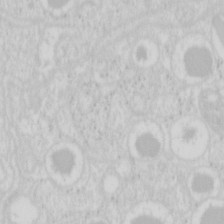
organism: Mouse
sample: Pancreas